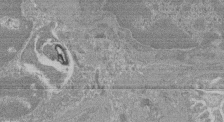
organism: Mouse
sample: Glomerulus